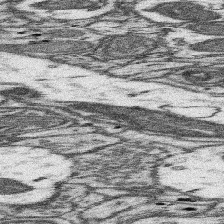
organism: Mouse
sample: Somatosensory cortex neuropil